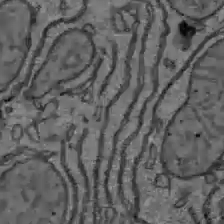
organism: C57BL Mouse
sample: Liver